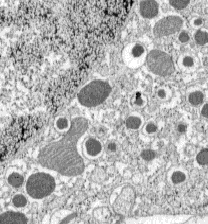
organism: C57BL Mouse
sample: Pancreatic islet